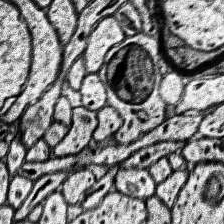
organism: Human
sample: Temporal Lobe